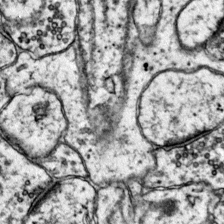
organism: Mouse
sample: Primary visual cortex